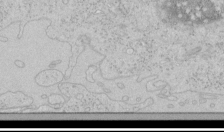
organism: Human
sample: Mitochondria in HCT116 cells